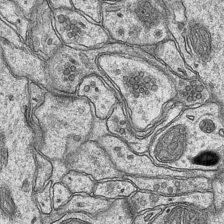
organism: Mouse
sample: CA1 Hippocampus